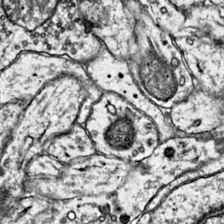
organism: Mouse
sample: Primary visual cortex